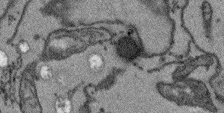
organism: Arabidopsis thaliana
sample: Root tip